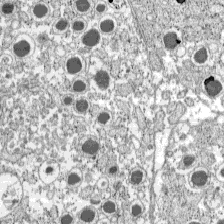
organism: C57BL Mouse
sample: Pancreatic islet